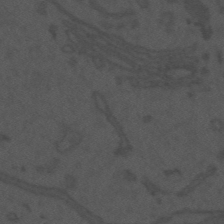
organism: Mouse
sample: Suprachiasmatic nucleus